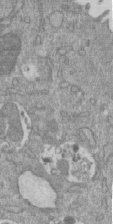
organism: Mouse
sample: ED-1 cell nuclei; centrioles